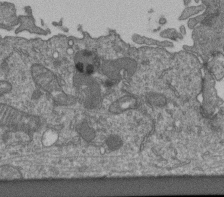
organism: Human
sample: Retinal organoid Rod and Cone cells